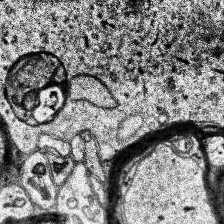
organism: Human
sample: Temporal Lobe